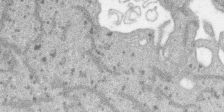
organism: Human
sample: Lung epithelial cells infected with SARS-CoV-2